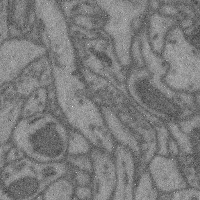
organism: Mouse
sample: Cerebral cortex